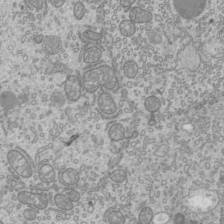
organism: Mouse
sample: Cilia; mouse epididymis